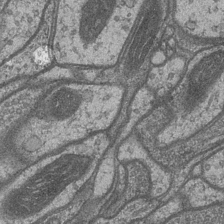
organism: Drosophila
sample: Optic medulla